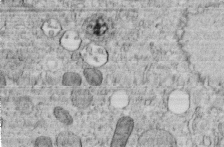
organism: C. elegans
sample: C. elegans embryo early stage